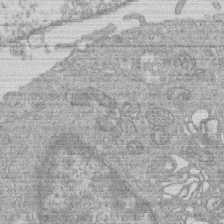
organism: Human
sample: Macrophage cells